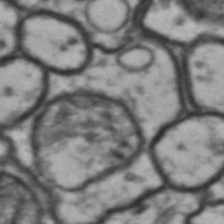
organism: Drosophila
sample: Brain